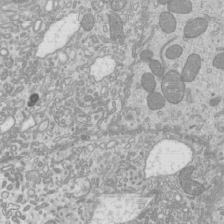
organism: Mouse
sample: Cilia; mouse epididymis